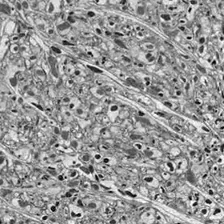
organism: Drosophila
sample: Optic lobe